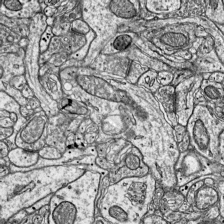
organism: Mouse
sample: Visual Cortex